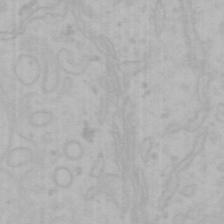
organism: Mouse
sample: Choroid plexus